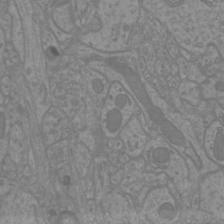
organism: Mouse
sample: Cortical neurons